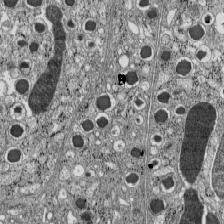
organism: C57BL Mouse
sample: Pancreatic islet